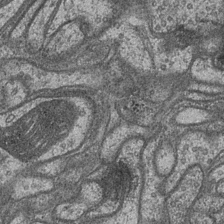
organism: Drosophila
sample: Optic medulla